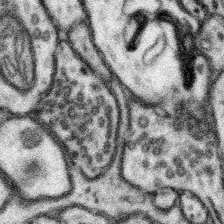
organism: Mouse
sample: Somatosensory cortex neuropil